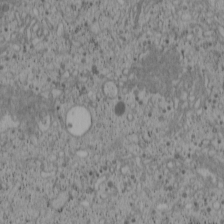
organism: African green monkey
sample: COS-7 cells